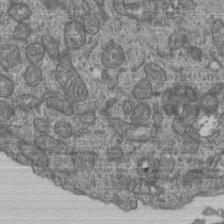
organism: Human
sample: Retinal organoid Rod and Cone cells